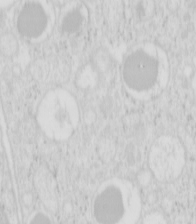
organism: Mouse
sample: Pancreas